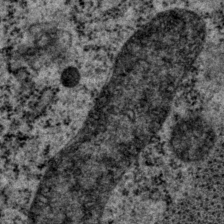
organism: P. pacificus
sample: Pharynx